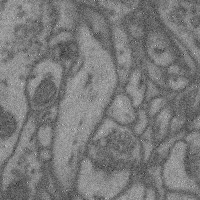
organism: Mouse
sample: Cerebral cortex